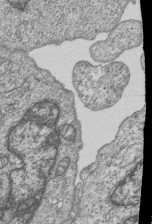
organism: Human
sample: MDA-MB-231 cells